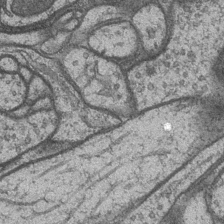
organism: Drosophila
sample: Optic medulla